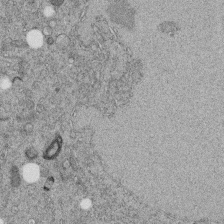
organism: C. elegans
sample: C. elegans embryo early stage